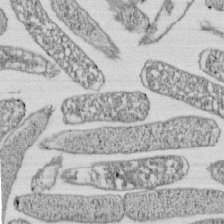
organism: E. coli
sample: Bacterial nucleoid